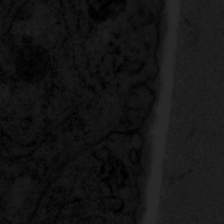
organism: P. pacificus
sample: Pharynx